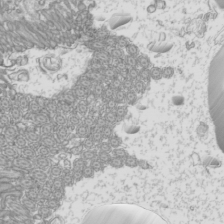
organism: Mouse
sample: Cilia; mouse epididymis